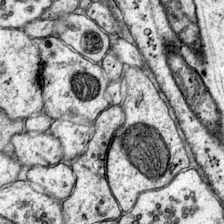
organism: Mouse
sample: Primary visual cortex